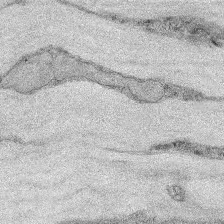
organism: Mouse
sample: Corneal nerves